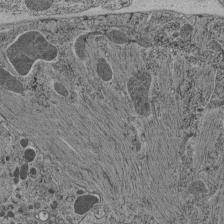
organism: C. elegans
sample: C. elegans pharynx